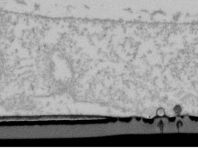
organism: Human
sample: U2-OS cells